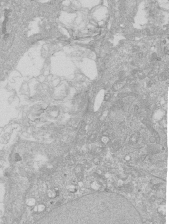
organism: Human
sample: Caco-2 cells